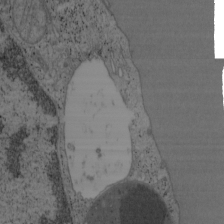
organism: Mouse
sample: OT-I killer T cells with ID8 ovarian cancer cells